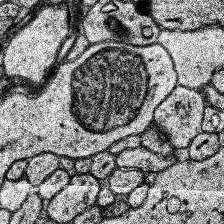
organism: Human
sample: Temporal Lobe